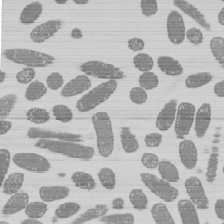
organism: E. coli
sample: Bacterial nucleoid